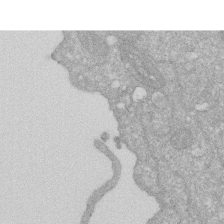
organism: Human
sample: HIV infected U937 cells